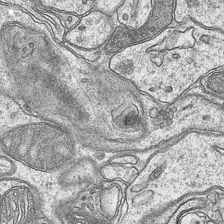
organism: Mouse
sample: CA1 Hippocampus